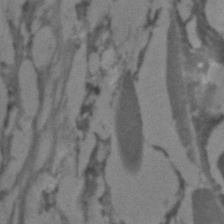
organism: C. elegans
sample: C. elegans embryo